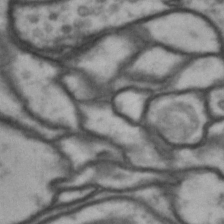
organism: Drosophila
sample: Brain